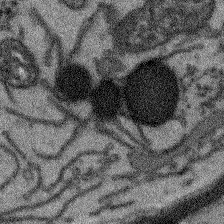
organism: Arabidopsis thaliana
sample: Root tip